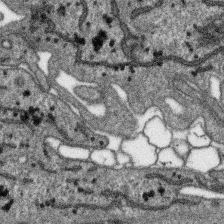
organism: Human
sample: Lung epithelial cells infected with SARS-CoV-2